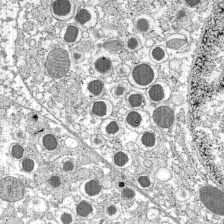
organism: C57BL Mouse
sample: Pancreatic islet